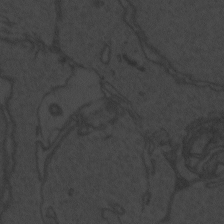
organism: Zebrafish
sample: Macrophage infected with Toxoplasma gondii